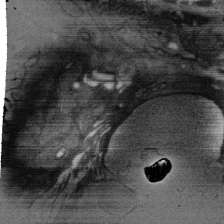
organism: Rat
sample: Salivary granule